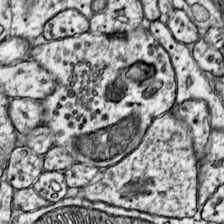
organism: Mouse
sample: Primary visual cortex